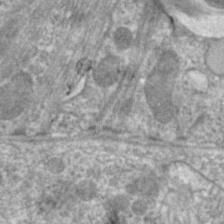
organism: C. elegans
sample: Pharynx